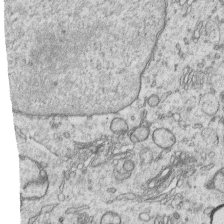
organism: Human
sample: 1205lu cells